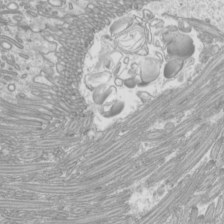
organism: Mouse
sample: Cilia; mouse epididymis